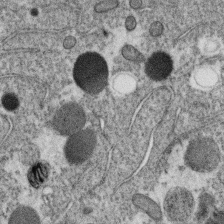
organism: C. elegans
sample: C. elegans oocyte; sperm cells